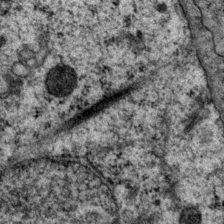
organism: P. pacificus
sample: Pharynx